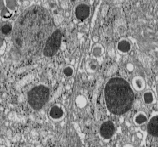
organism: C57BL Mouse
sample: Pancreatic islet